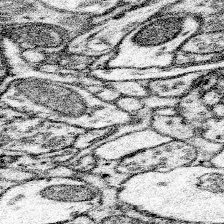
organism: Mouse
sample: Somatosensory cortex neuropil